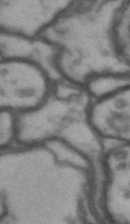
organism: Drosophila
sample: Brain